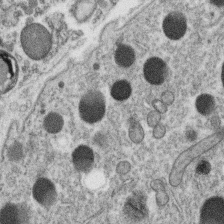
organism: C. elegans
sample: C. elegans oocyte; sperm cells